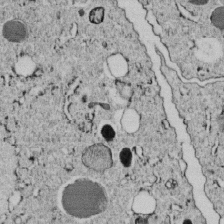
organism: C. elegans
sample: C. elegans embryo early stage